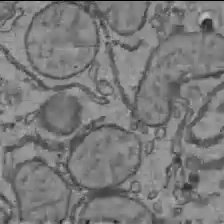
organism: C57BL Mouse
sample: Liver